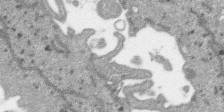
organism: Human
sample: Lung epithelial cells infected with SARS-CoV-2